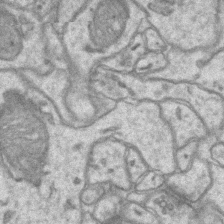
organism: Mouse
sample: CA1 Hippocampus